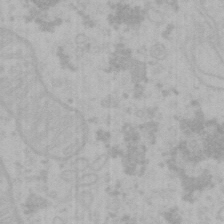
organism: Mouse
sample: Choroid plexus